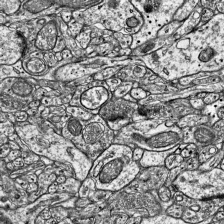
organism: Mouse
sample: Visual Cortex